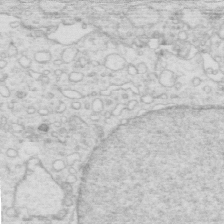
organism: Mouse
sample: Multiciliated cells